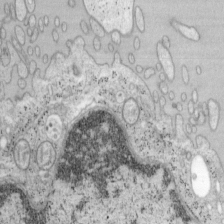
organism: Mouse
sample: OT-I killer T cells with ID8 ovarian cancer cells